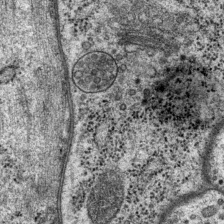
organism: P. pacificus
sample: Pharynx